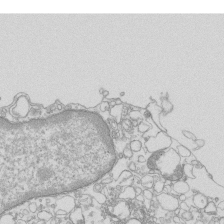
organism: Mouse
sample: Macrophages